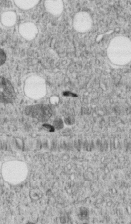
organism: C. elegans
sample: C. elegans embryo early stage